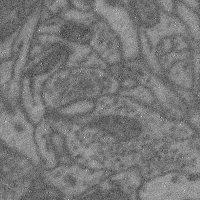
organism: Mouse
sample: Cerebral cortex